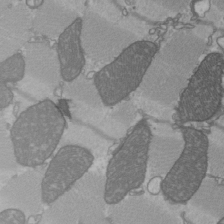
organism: C57BL Mouse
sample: Heart